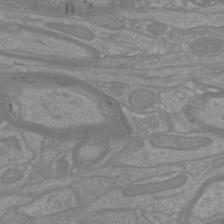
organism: Mouse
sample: Cortical neurons